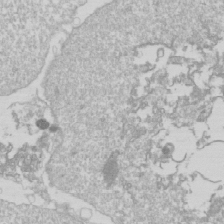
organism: Drosophila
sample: Cell division; meiosis; drosophila spermatocytes